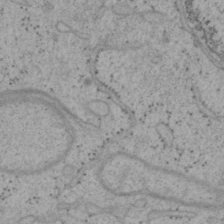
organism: Human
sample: HeLa cells